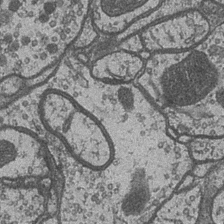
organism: Drosophila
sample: Optic medulla